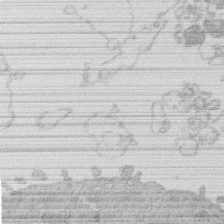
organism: Human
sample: Macrophage cells